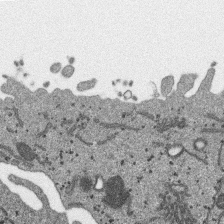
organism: Human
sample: Lung epithelial cells infected with SARS-CoV-2